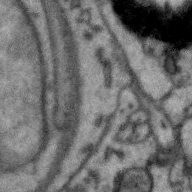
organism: Zebra finch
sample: Brain